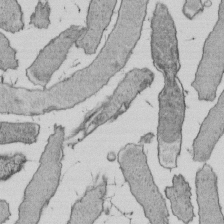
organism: E. coli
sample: Bacterial nucleoid